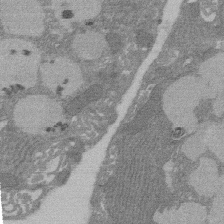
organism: Rat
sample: Salivary granule